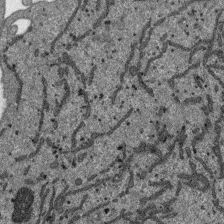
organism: Human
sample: Lung epithelial cells infected with SARS-CoV-2